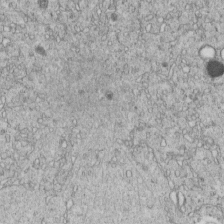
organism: C. elegans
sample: C. elegans embryo early stage